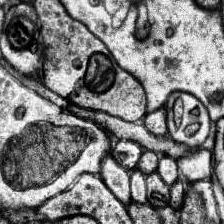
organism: Human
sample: Temporal Lobe